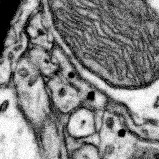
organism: Mouse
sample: Somatosensory cortex neuropil